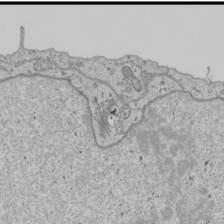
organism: Human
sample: Mitochondria in U2OS cells